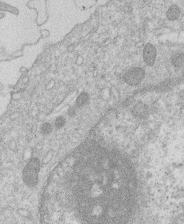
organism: Human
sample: Macrophage cells